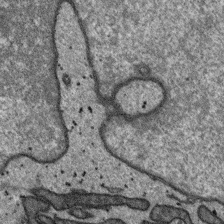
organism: Human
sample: Lung epithelial cells, uninfected (mock) control